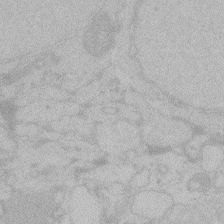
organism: Zebrafish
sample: Macrophage infected with Toxoplasma gondii